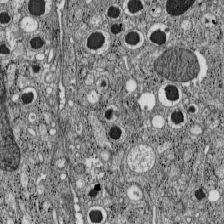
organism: C57BL Mouse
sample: Pancreatic islet